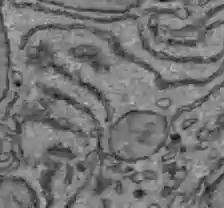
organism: C57BL Mouse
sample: Liver